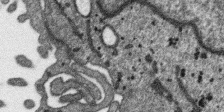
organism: Human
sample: Lung epithelial cells infected with SARS-CoV-2